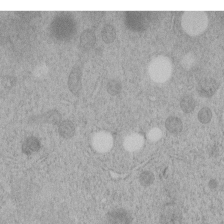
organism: C. elegans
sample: C. elegans embryo early stage